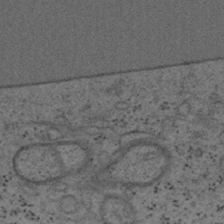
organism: Human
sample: HeLa cells